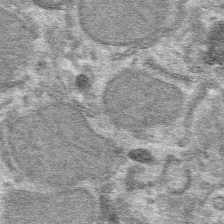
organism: Mouse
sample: Mouse hepatocytes